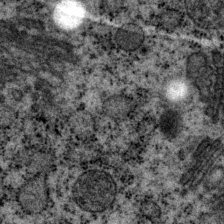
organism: P. pacificus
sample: Pharynx